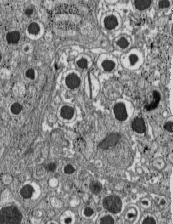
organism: C57BL Mouse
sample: Pancreatic islet